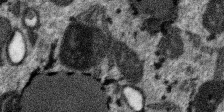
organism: Human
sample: Lung epithelial cells infected with SARS-CoV-2